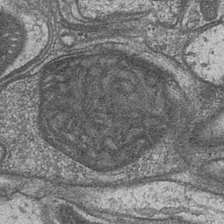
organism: Drosophila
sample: Optic medulla